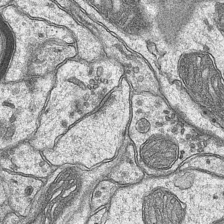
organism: Mouse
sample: CA1 Hippocampus